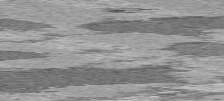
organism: C57BL Mouse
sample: Heart